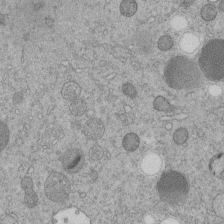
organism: C. elegans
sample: C. elegans embryo early stage